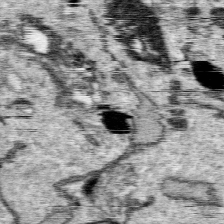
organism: Human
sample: HeLa cells